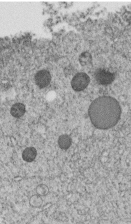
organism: C. elegans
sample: C. elegans embryo early stage